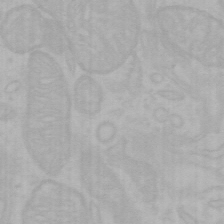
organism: Mouse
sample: Choroid plexus